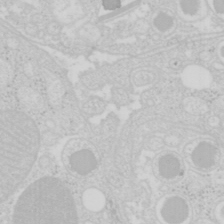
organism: Mouse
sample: Pancreas